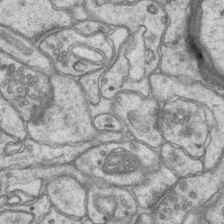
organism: Mouse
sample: CA1 Hippocampus